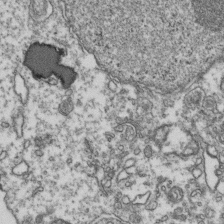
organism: Human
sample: Activated Jurkat CD4+ T cells